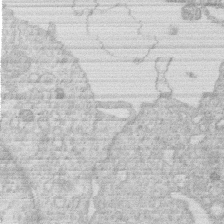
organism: Human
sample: Macrophage cells